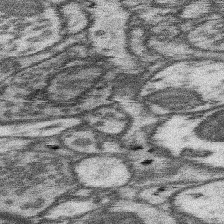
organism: Mouse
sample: Somatosensory cortex neuropil